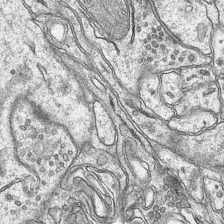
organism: Mouse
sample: CA1 Hippocampus